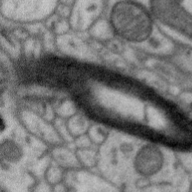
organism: Zebra finch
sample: Brain